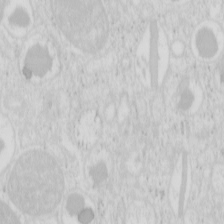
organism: Mouse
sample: Pancreas